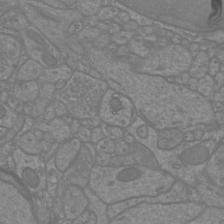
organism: Mouse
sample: Cortical neurons